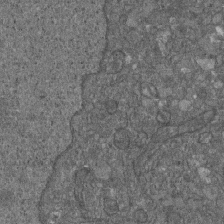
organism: Drosophila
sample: Nephrocyte